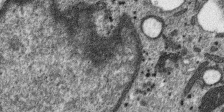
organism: Human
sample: Lung epithelial cells infected with SARS-CoV-2